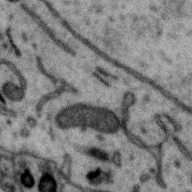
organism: Zebra finch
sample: Brain